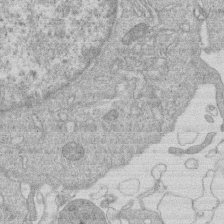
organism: Human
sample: Macrophage cells